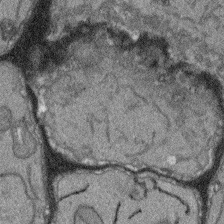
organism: Arabidopsis thaliana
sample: Root tip